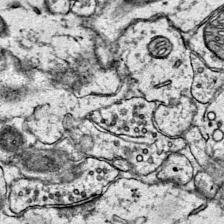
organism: Mouse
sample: Primary visual cortex